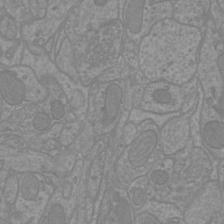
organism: Mouse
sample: Cortical neurons